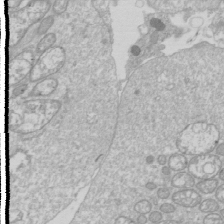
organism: Drosophila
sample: Cell division; meiosis; drosophila spermatocytes